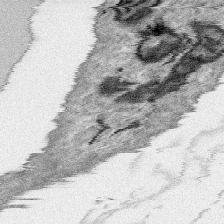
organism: Human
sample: HeLa cells